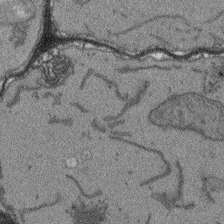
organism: Arabidopsis thaliana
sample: Root tip